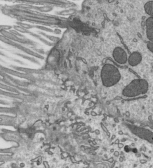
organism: Mouse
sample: Mouse epididymis efferent ductule cilia